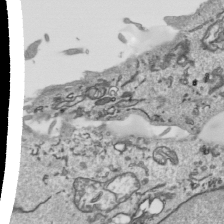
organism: Human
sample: Mitochondria in HCT116 cells